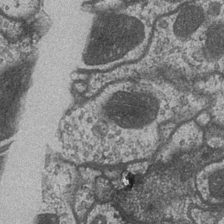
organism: Drosophila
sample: Optic medulla